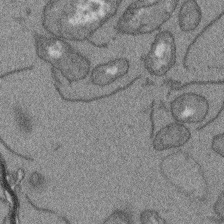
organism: Arabidopsis thaliana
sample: Root tip